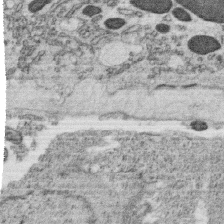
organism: C. elegans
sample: C. elegans oocyte; sperm cells